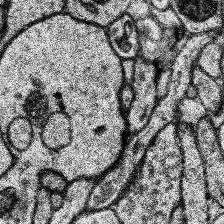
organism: Human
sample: Temporal Lobe